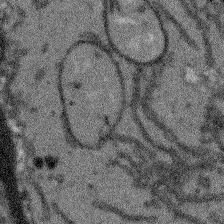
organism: Arabidopsis thaliana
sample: Root tip